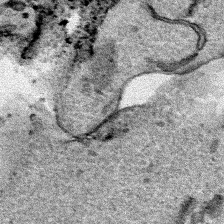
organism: Human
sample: Mitochondria in HCT116 cells